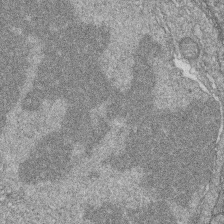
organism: Zebrafish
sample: Cilia; retinal pigment epithelium